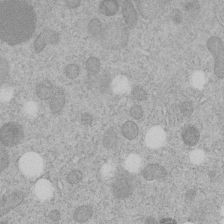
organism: C. elegans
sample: C. elegans embryo early stage